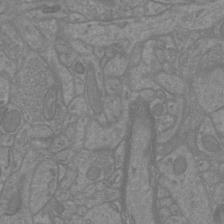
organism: Mouse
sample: Cortical neurons